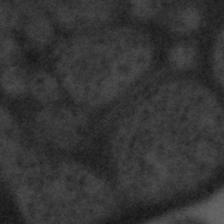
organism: Tuwongella immobilis